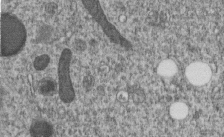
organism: C. elegans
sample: C. elegans embryo early stage